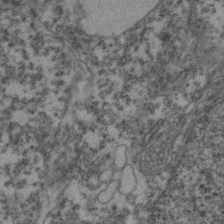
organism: Zebrafish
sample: Zebrafish embryo